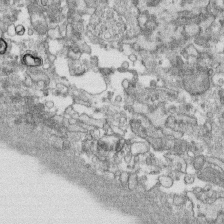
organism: Human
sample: CRL-1474